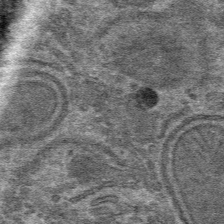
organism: Mouse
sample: Mouse hepatocytes